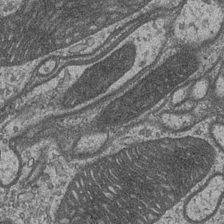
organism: Drosophila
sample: Optic medulla